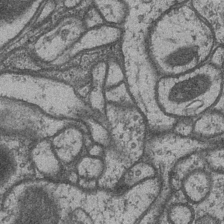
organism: Drosophila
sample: Optic medulla